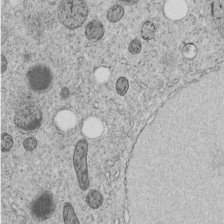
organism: C. elegans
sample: C. elegans embryo early stage